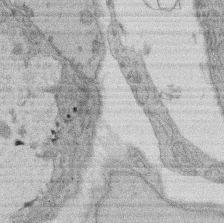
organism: Rat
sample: Salivary granule